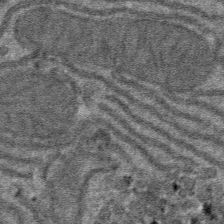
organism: Mouse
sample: Mouse hepatocytes